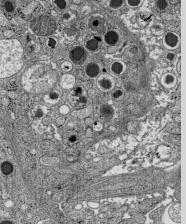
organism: C57BL Mouse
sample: Pancreatic islet